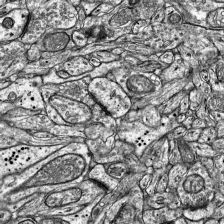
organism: Mouse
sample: Visual Cortex